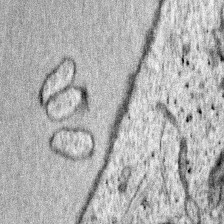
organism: Human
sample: HeLa cells